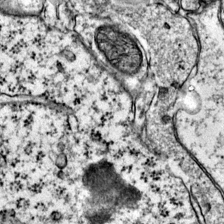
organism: Mouse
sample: Primary visual cortex